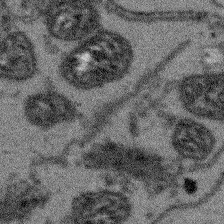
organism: Arabidopsis thaliana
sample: Root tip